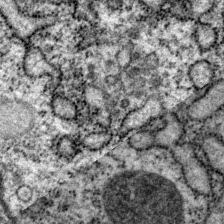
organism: P. pacificus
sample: Pharynx